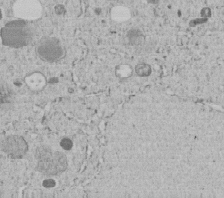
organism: C. elegans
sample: C. elegans embryo early stage